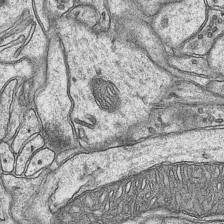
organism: Mouse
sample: CA1 Hippocampus